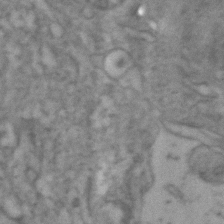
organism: Zebrafish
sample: Zebrafish embryo